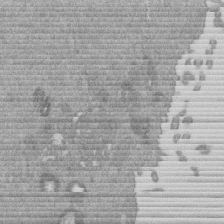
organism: Mouse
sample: Dividing mouse embryo 1 cell stage